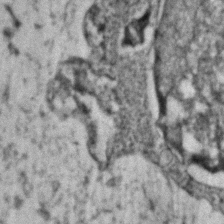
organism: Zebrafish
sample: Zebrafish embryo